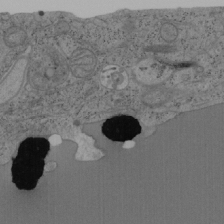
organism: Human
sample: HeLa cells